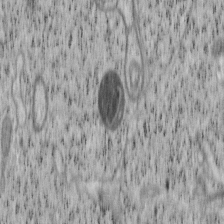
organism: Human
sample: HeLa cells